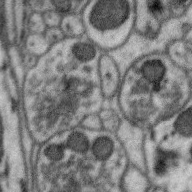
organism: Zebra finch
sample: Brain